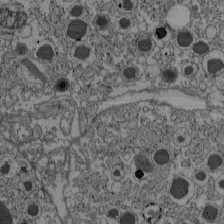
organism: C57BL Mouse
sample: Pancreatic islet